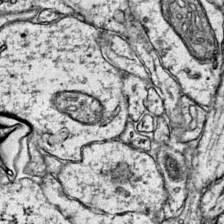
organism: Mouse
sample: Primary visual cortex